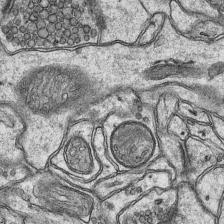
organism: Mouse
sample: CA1 Hippocampus